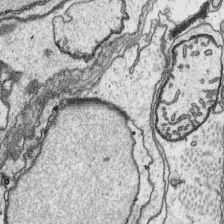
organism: Platynereis dumerilii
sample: Parapodia